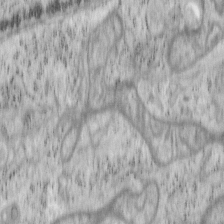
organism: Human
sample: HeLa cells